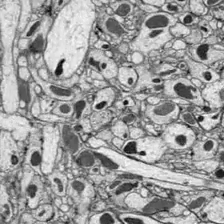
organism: Drosophila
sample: Optic lobe